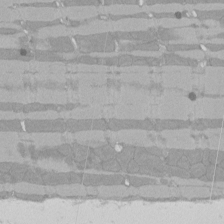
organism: Rat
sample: Left ventricle